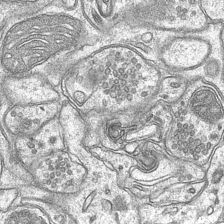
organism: Mouse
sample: CA1 Hippocampus